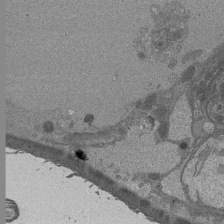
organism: Drosophila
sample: Antenna